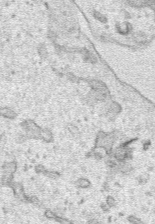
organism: Human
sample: Mitochondria in HCT116 cells